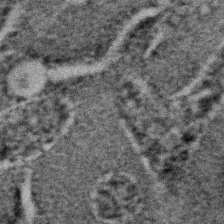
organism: C. elegans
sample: C. elegans embryo